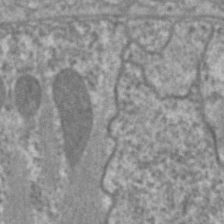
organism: C. elegans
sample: Pharynx